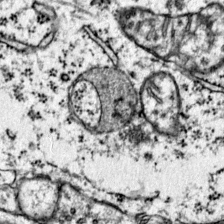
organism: Mouse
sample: Primary visual cortex